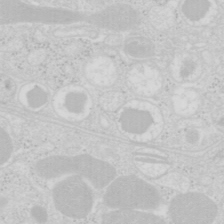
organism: Mouse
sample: Pancreas